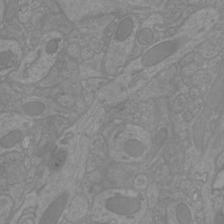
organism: Mouse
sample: Cortical neurons